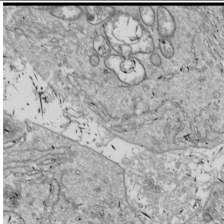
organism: Drosophila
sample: Cell division; meiosis; drosophila spermatocytes